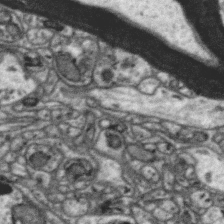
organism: Zebra finch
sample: Brain